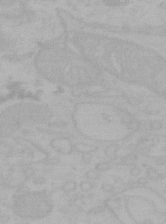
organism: Mouse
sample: Choroid plexus